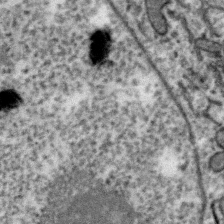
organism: Zebra finch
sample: Brain